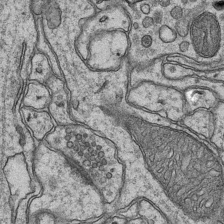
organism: Mouse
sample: CA1 Hippocampus